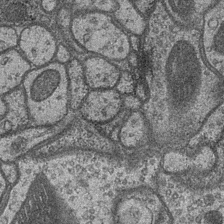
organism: Drosophila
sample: Optic medulla